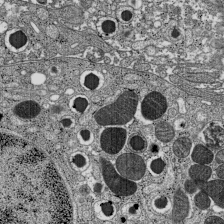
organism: C57BL Mouse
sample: Pancreatic islet